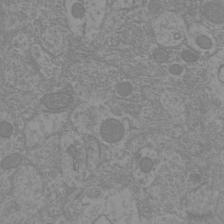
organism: Mouse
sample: Cortical neurons